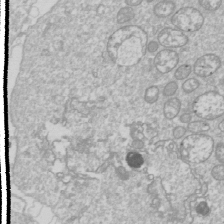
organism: Drosophila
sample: Cell division; meiosis; drosophila spermatocytes